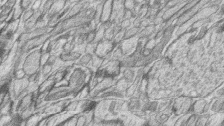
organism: Zebrafish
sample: synaptic ribbons in rod cells and cone cells